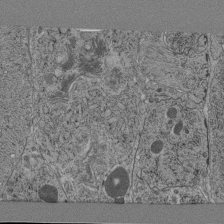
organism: C. elegans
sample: C. elegans pharynx